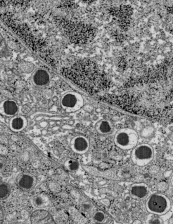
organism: C57BL Mouse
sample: Pancreatic islet